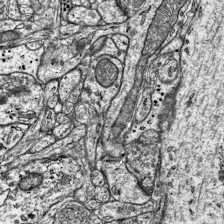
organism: Mouse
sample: Visual Cortex